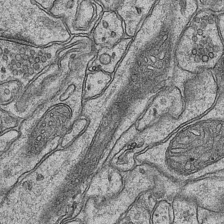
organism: Mouse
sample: CA1 Hippocampus